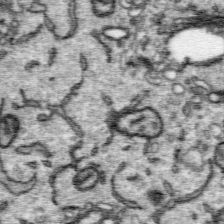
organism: Human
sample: HeLa cells